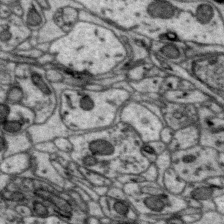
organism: Zebra finch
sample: Brain